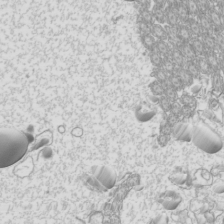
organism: Mouse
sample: Cilia; mouse epididymis